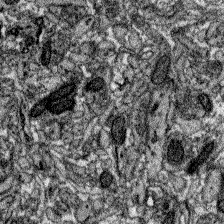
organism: Zebrafish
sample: Larval olfactory bulb